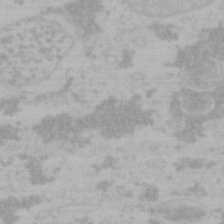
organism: Mouse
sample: Choroid plexus